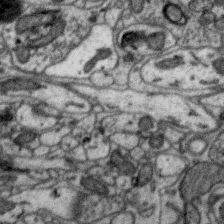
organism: Zebra finch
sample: Brain